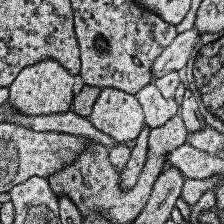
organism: Human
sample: Temporal Lobe